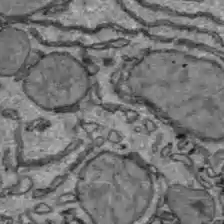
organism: C57BL Mouse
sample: Liver